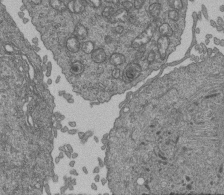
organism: Human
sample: Retinal organoid Rod and Cone cells